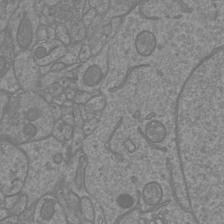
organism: Mouse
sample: Cortical neurons